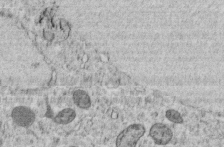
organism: C. elegans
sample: C. elegans embryo early stage